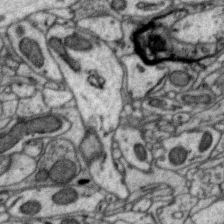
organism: Zebra finch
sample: Brain